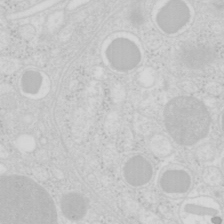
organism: Mouse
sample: Pancreas